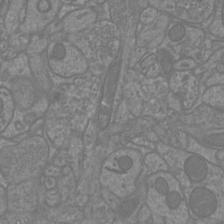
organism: Mouse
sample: Cortical neurons